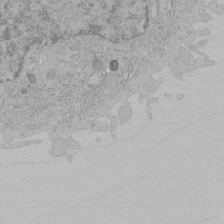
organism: Human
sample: Mitochondria in HCT116 cells